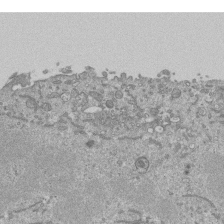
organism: Mouse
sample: ED-1 cell nuclei; centrioles